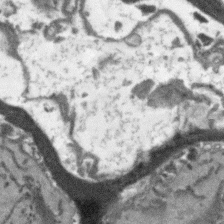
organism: Arabidopsis thaliana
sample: Root tip